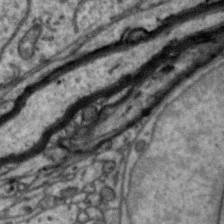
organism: Zebra finch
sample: Brain